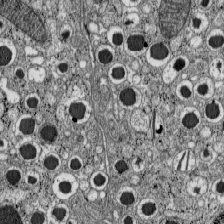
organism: C57BL Mouse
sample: Pancreatic islet